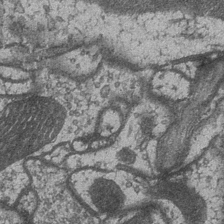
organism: Drosophila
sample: Optic medulla